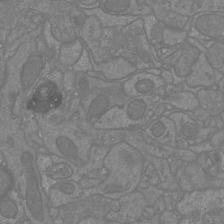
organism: Mouse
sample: Cortical neurons